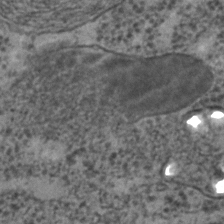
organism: C. elegans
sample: C. elegans embryo